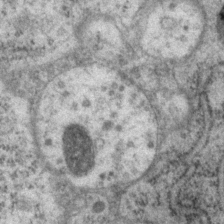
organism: P. pacificus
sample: Pharynx